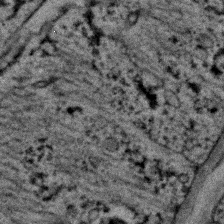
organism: C. elegans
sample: C. elegans embryo